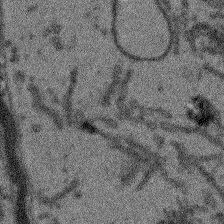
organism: Arabidopsis thaliana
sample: Root tip